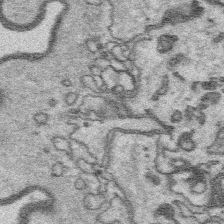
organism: Platynereis dumerilii